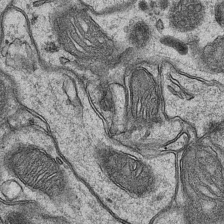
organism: Mouse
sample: CA1 Hippocampus